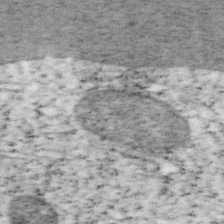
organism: Mouse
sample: OT-I killer T cells with ID8 ovarian cancer cells